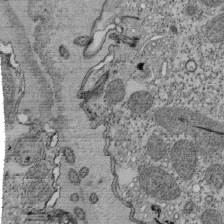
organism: Tetrahymena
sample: Cilia in tetrahymena